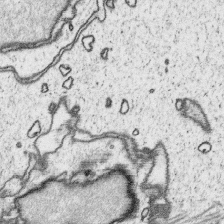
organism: Platynereis dumerilii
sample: Parapodia